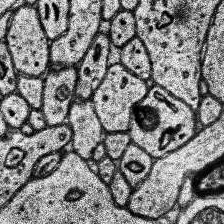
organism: Human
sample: Temporal Lobe